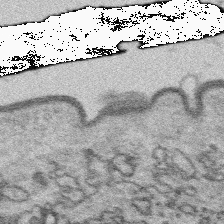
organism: Platynereis dumerilii